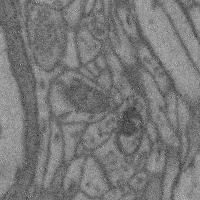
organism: Mouse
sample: Cerebral cortex